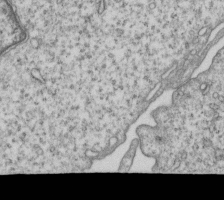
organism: Human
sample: MDA-MB-231 cells